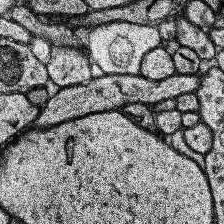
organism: Human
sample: Temporal Lobe